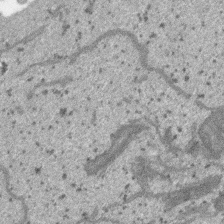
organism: Human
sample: Lung epithelial cells infected with SARS-CoV-2